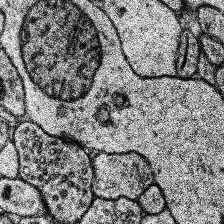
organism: Human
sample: Temporal Lobe